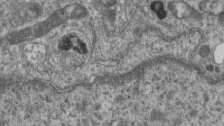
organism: Mouse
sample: Centriole in ependymal cells